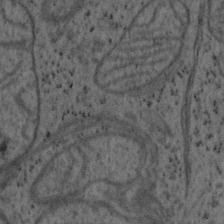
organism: Human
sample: HeLa cells